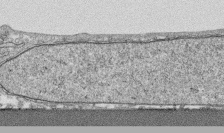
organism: Human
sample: CRL-1474